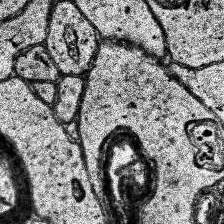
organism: Human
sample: Temporal Lobe